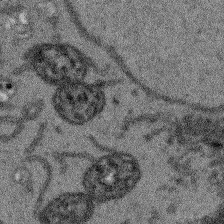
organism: Arabidopsis thaliana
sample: Root tip